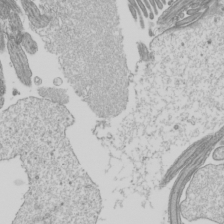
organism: Mouse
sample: Cilia; mouse epididymis